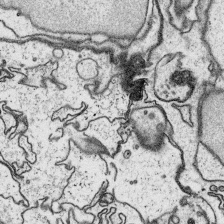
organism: Platynereis dumerilii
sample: Parapodia